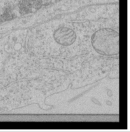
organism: Human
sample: Mitochondria in HCT116 cells